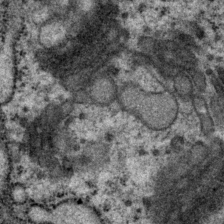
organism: P. pacificus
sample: Pharynx